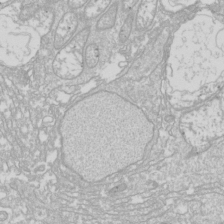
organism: Drosophila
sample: Cell division; meiosis; drosophila spermatocytes